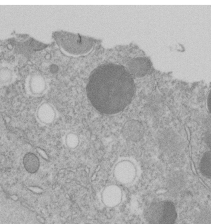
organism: C. elegans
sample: C. elegans embryo early stage